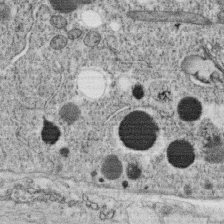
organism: C. elegans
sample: C. elegans oocyte; sperm cells